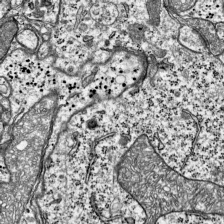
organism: Mouse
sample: Visual Cortex